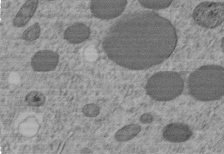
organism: C. elegans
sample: C. elegans embryo early stage